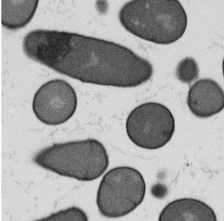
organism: B. subtilis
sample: Bacterial spore